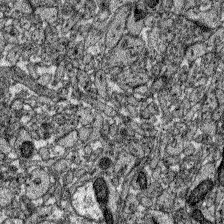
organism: Zebrafish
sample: Larval olfactory bulb